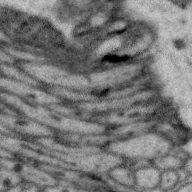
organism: Zebra finch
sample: Brain